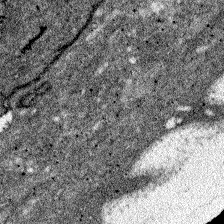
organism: Zebrafish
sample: Larval olfactory bulb